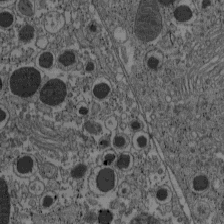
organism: C57BL Mouse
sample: Pancreatic islet